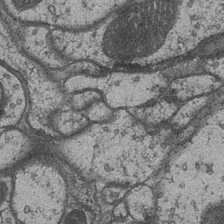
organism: Drosophila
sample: Optic medulla